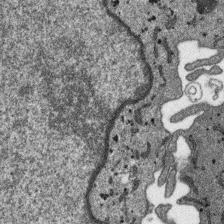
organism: Human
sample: Lung epithelial cells infected with SARS-CoV-2